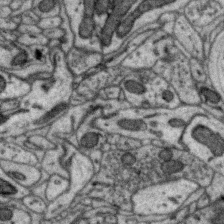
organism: Zebra finch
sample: Brain